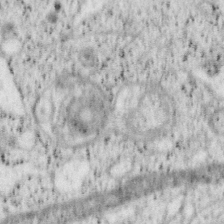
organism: Mouse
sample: OT-I killer T cells with ID8 ovarian cancer cells